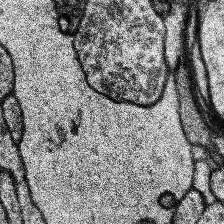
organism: Human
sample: Temporal Lobe